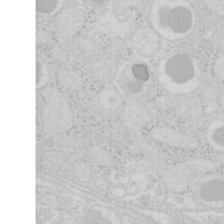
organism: Mouse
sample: Pancreas